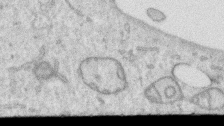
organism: Human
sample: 1205lu cells